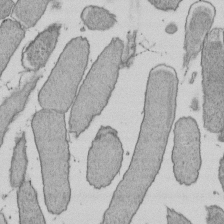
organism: E. coli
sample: Bacterial nucleoid